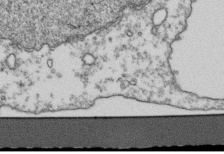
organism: Human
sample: Activated Jurkat CD4+ T cells